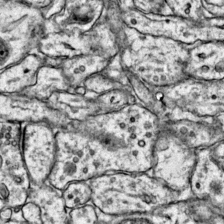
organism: Mouse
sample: Primary visual cortex